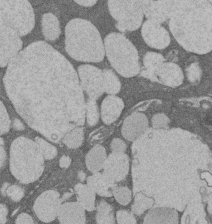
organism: Rat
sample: Salivary granule